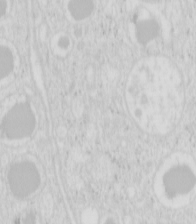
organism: Mouse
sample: Pancreas